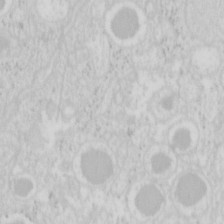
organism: Mouse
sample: Pancreas